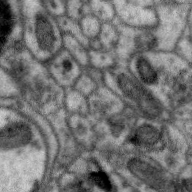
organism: Zebra finch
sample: Brain